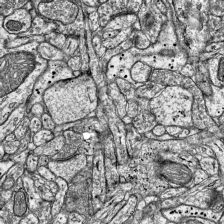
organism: Mouse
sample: Visual Cortex